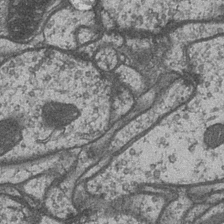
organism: Drosophila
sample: Optic medulla